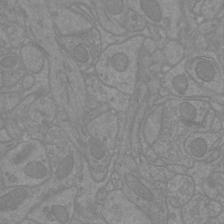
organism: Mouse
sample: Cortical neurons